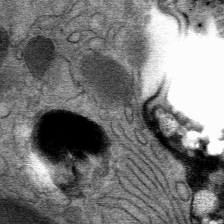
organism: Mouse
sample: Mouse Salivary gland